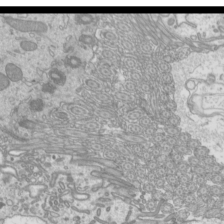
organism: Mouse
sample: Cilia; mouse epididymis